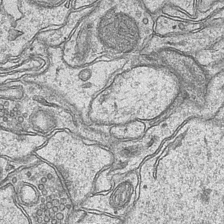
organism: Mouse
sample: CA1 Hippocampus